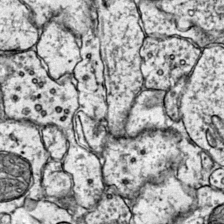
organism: Mouse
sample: Primary visual cortex